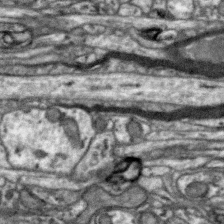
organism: Zebra finch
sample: Brain